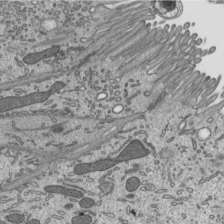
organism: Mouse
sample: Mouse epididymis efferent ductule cilia